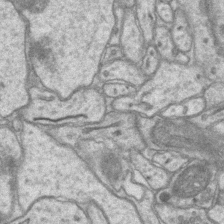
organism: Mouse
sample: CA1 Hippocampus